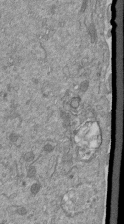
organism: Mouse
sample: ED-1 cell nuclei; centrioles